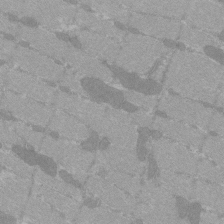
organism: C57BL Mouse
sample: Tibialis anterior muscle cell